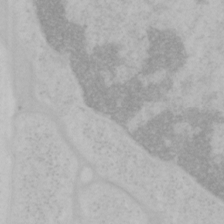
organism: Mouse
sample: OT-I killer T cells with ID8 ovarian cancer cells